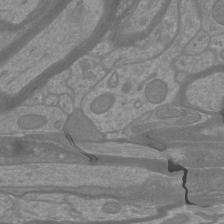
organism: Mouse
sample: Cortical neurons